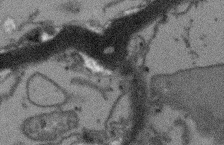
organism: Arabidopsis thaliana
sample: Root tip